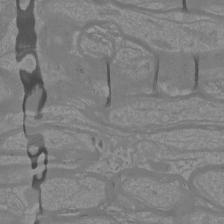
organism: Mouse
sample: Cortical neurons